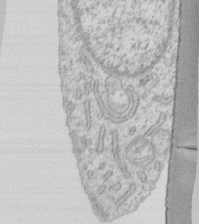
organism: Human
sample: Fibroblast cells